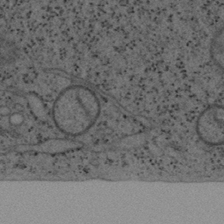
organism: Human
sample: HeLa cells